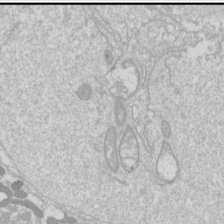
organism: Drosophila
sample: Cell division; meiosis; drosophila spermatocytes